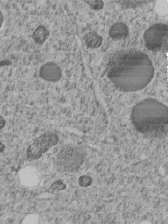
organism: C. elegans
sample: C. elegans embryo early stage